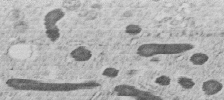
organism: C. elegans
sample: C. elegans embryo early stage